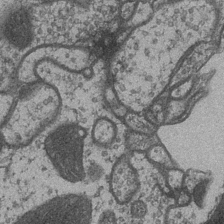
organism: Drosophila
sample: Optic medulla